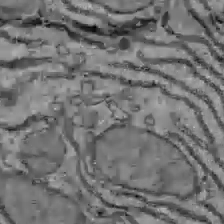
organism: C57BL Mouse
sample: Liver